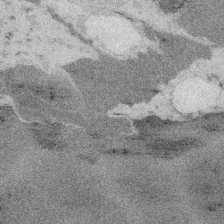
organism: Embia sp.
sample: Silk gland